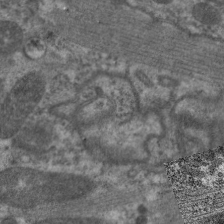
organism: C. elegans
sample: Pharynx